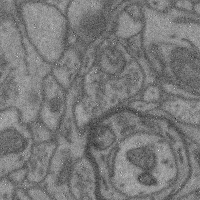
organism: Mouse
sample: Cerebral cortex